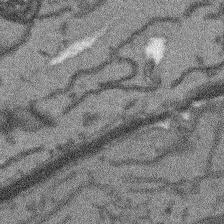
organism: Arabidopsis thaliana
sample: Root tip